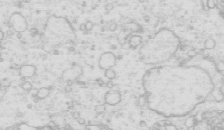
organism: Mouse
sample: Multiciliated cells